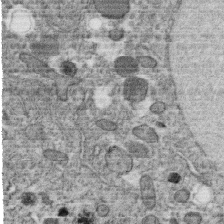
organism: C. elegans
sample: C. elegans oocyte; sperm cells